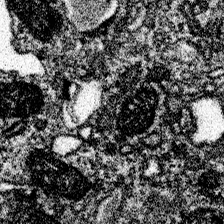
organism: Spongilla lacustris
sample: Neuroid cell